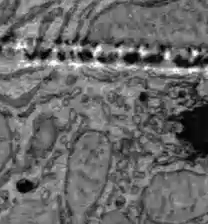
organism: C57BL Mouse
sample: Liver